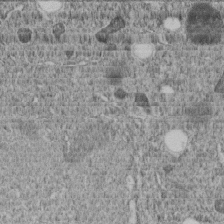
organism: C. elegans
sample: C. elegans embryo early stage